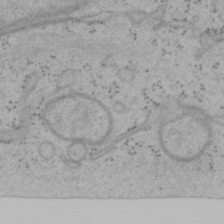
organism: Human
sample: HeLa cells